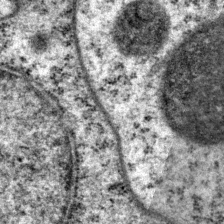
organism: P. pacificus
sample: Pharynx